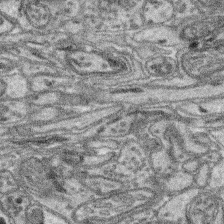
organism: Mouse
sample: Retina